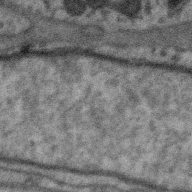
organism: Zebra finch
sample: Brain